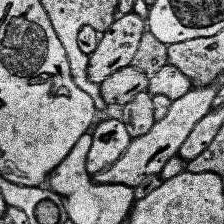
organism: Human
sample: Temporal Lobe